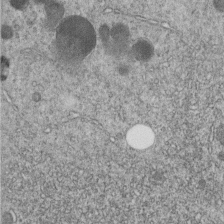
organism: C. elegans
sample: C. elegans embryo early stage